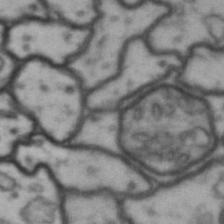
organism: Drosophila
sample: Brain